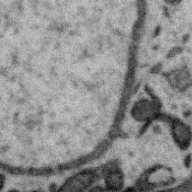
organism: Zebra finch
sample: Brain